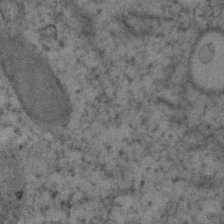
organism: Human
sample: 1205lu cells